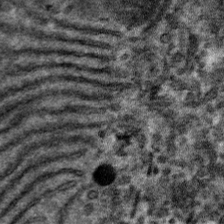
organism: Mouse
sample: Mouse hepatocytes